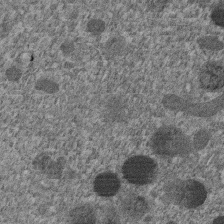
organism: C. elegans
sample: C. elegans embryo early stage